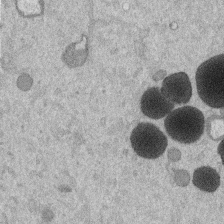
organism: Mouse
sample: Dividing mouse embryo 1 cell stage